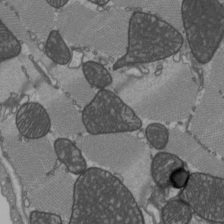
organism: C57BL Mouse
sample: Heart